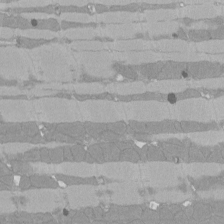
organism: Rat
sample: Left ventricle